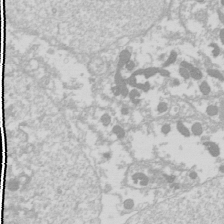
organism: Drosophila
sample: Cell division; meiosis; drosophila spermatocytes